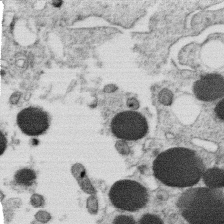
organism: C. elegans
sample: C. elegans oocyte; sperm cells